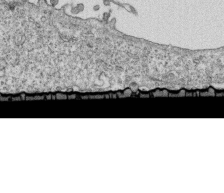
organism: Human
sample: HeLa cell HIV synapse